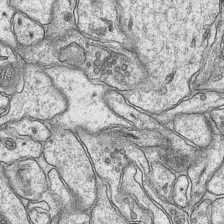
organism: Mouse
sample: CA1 Hippocampus